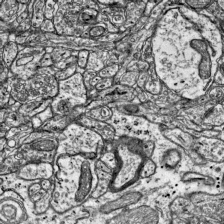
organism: Mouse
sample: Visual Cortex